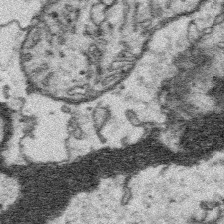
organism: Platynereis dumerilii